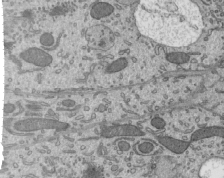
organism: Mouse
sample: Mouse epididymis efferent ductule cilia